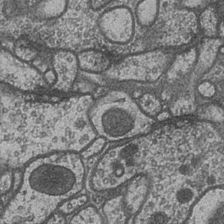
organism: Drosophila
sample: Optic medulla